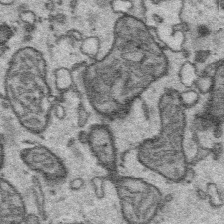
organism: Platynereis dumerilii